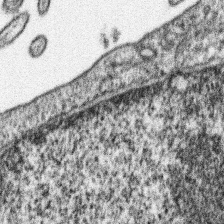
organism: Human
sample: HeLa cells